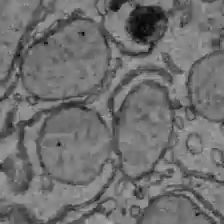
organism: C57BL Mouse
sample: Liver